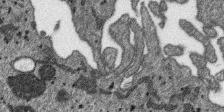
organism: Human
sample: Lung epithelial cells infected with SARS-CoV-2